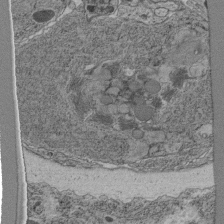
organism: C. elegans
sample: C. elegans pharynx